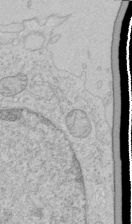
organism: Human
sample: Mitochondria in HCT116 cells